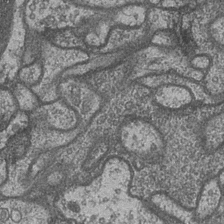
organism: Drosophila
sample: Optic medulla